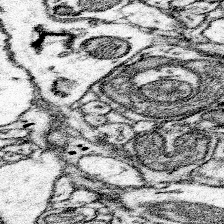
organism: Mouse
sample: Somatosensory cortex neuropil